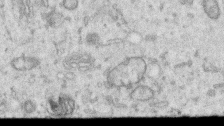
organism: Human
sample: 1205lu cells